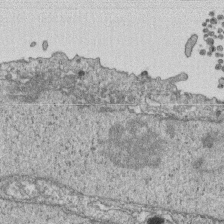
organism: Human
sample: HeLa cell HIV synapse